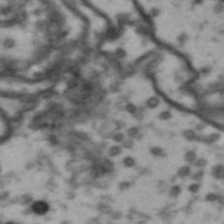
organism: Drosophila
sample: Brain